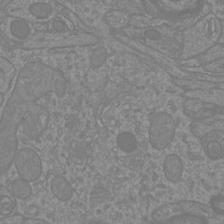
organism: Mouse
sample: Cortical neurons